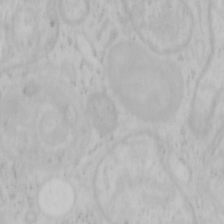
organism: Mouse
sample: OT-I killer T cells with ID8 ovarian cancer cells